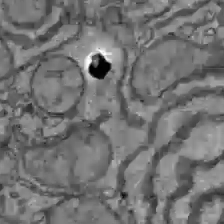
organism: C57BL Mouse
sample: Liver